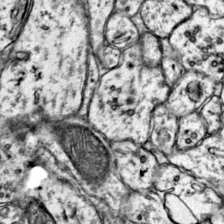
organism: Mouse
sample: Primary visual cortex